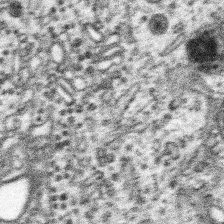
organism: Human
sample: HeLa cells